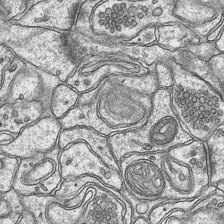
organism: Mouse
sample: CA1 Hippocampus